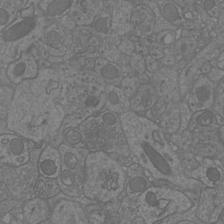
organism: Mouse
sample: Cortical neurons